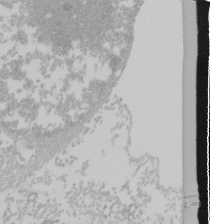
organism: Mouse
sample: Cancer cell death in ED-1 cells